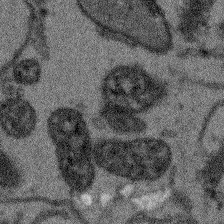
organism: Arabidopsis thaliana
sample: Root tip